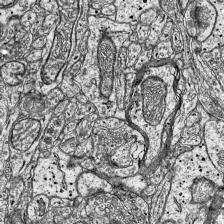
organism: Mouse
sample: Visual Cortex